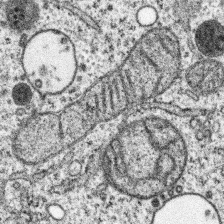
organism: Human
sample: HeLa cells